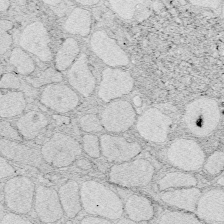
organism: Zebrafish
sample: Whole-Brain